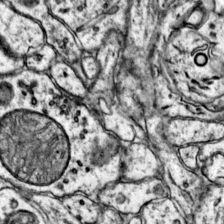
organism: Mouse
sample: Primary visual cortex